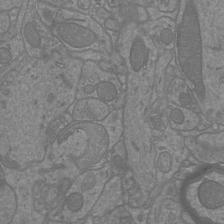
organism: Mouse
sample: Cortical neurons